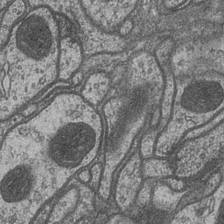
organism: Drosophila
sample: Optic medulla